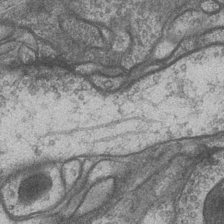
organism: Drosophila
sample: Optic medulla